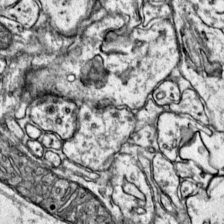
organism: Mouse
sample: Primary visual cortex